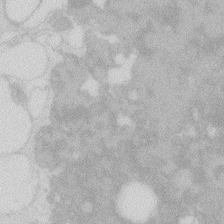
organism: Zebrafish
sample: Macrophage